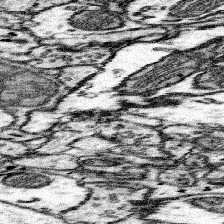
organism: Mouse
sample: Somatosensory cortex neuropil